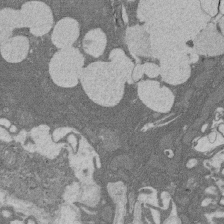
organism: Rat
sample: Salivary granule